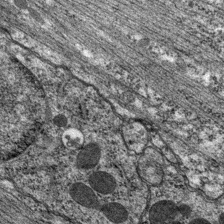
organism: C. elegans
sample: Pharynx